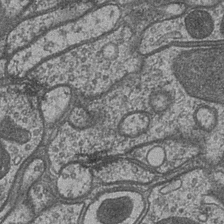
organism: Drosophila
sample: Optic medulla